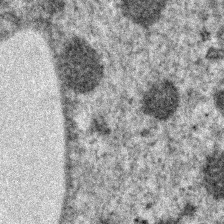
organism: Zebrafish